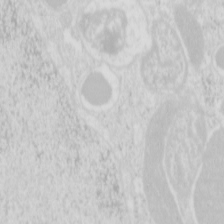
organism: Mouse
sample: Pancreas